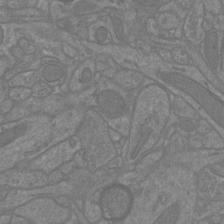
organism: Mouse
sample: Cortical neurons